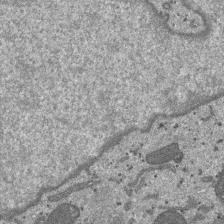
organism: Human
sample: Lung epithelial cells infected with SARS-CoV-2